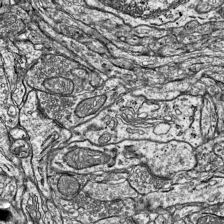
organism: Mouse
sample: Visual Cortex